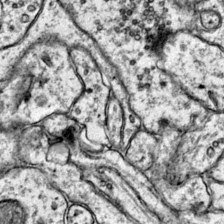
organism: Mouse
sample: Primary visual cortex